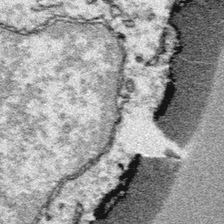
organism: Platynereis dumerilii